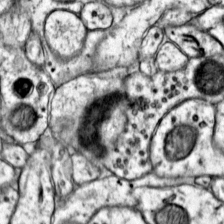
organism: Mouse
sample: Primary visual cortex